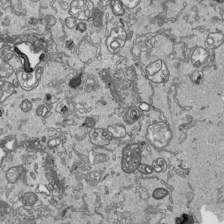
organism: Human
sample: Mitochondria in HCT116 cells